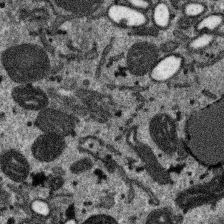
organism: Human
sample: Lung epithelial cells infected with SARS-CoV-2